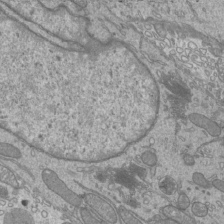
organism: Mouse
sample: Cilia; mouse epididymis